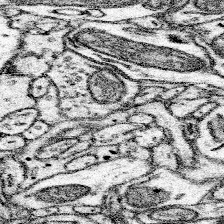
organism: Mouse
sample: Somatosensory cortex neuropil